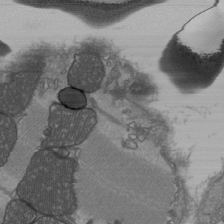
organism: C57BL Mouse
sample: Heart